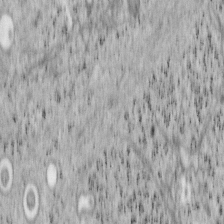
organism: Human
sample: HeLa cells